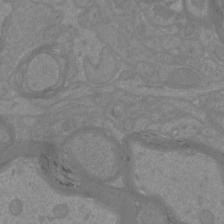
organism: Mouse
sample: Cortical neurons